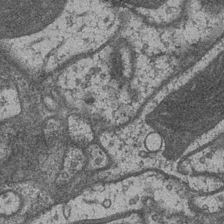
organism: Drosophila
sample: Optic medulla